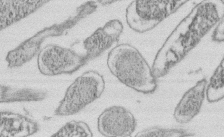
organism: E. coli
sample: Bacterial nucleoid